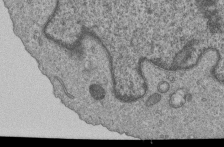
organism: Human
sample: MDA-MB-231 cells